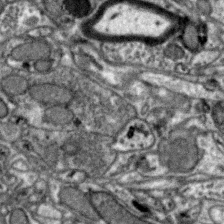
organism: Zebra finch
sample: Brain